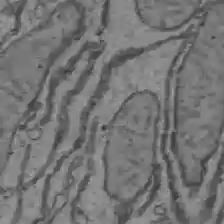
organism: C57BL Mouse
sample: Liver